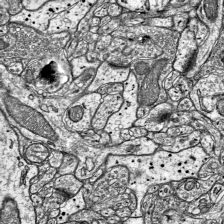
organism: Mouse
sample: Visual Cortex